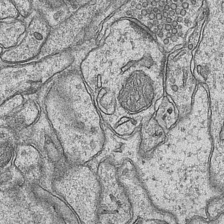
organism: Mouse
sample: CA1 Hippocampus